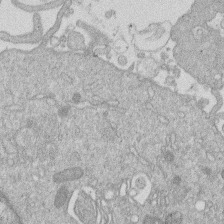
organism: Human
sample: Macrophage cells